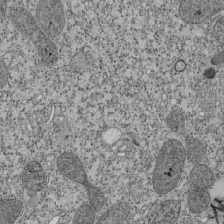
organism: Tetrahymena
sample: Cilia in tetrahymena